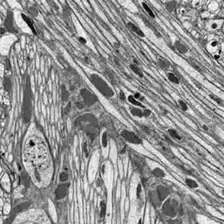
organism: Drosophila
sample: Optic lobe